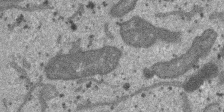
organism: Human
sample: Lung epithelial cells infected with SARS-CoV-2